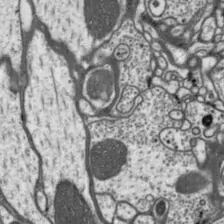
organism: Drosophila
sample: Protocerebral bridge